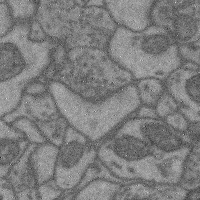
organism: Mouse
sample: Cerebral cortex